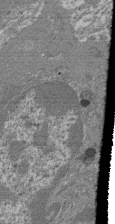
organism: Mouse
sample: Glomerulus